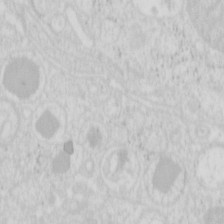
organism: Mouse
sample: Pancreas